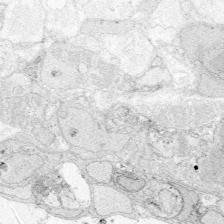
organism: Zebrafish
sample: Whole-Brain